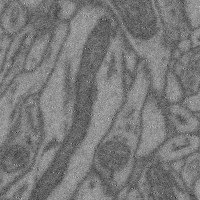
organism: Mouse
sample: Cerebral cortex